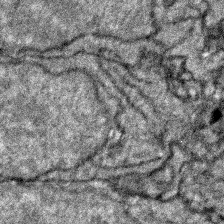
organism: Zebrafish